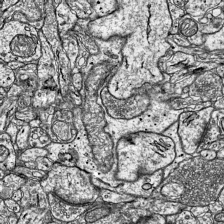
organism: Mouse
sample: Visual Cortex